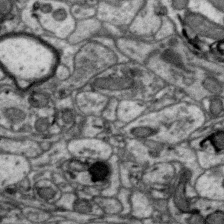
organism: Zebra finch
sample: Brain